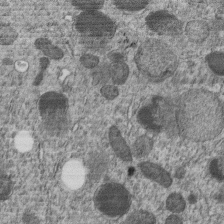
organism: C. elegans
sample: C. elegans embryo early stage